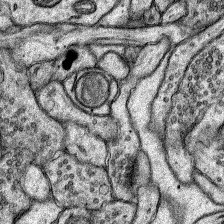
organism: Rat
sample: Hippocampus